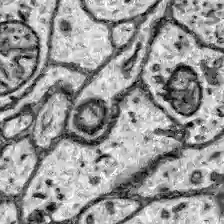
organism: Zebrafish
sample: Brain